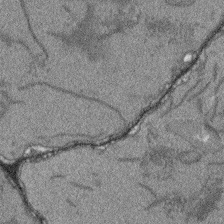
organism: Arabidopsis thaliana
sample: Root tip